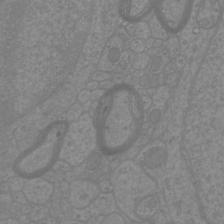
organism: Mouse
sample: Cortical neurons